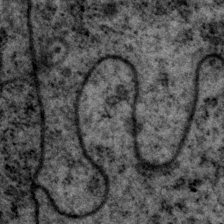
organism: P. pacificus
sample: Pharynx